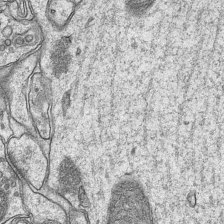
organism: Mouse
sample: CA1 Hippocampus